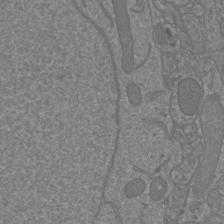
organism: Mouse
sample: Cortical neurons